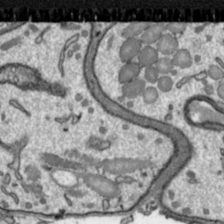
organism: Toxoplasma gondii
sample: Parasites in a vacuole inside a host cell